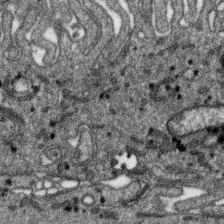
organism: Human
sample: Lung epithelial cells infected with SARS-CoV-2